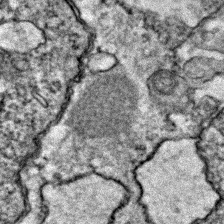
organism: Zebrafish